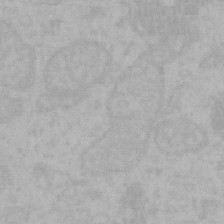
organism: Mouse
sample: Choroid plexus